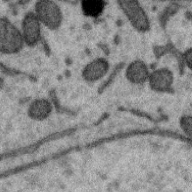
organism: Zebra finch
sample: Brain